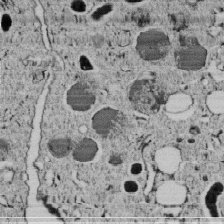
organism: C. elegans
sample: C. elegans embryo early stage